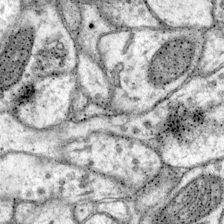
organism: Mouse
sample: Primary visual cortex